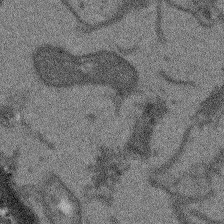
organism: Arabidopsis thaliana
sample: Root tip